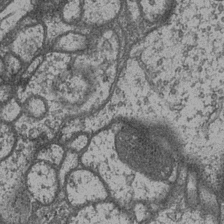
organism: Drosophila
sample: Optic medulla